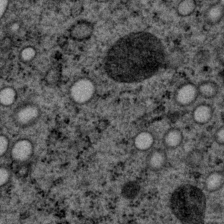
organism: P. pacificus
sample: Pharynx